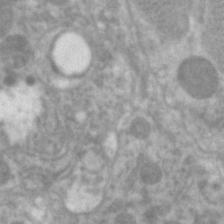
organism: C. elegans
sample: Pharynx